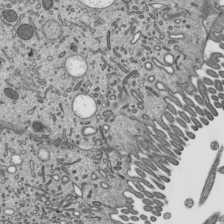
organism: Mouse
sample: Mouse epididymis efferent ductule cilia